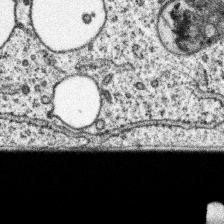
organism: Human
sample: HeLa cells